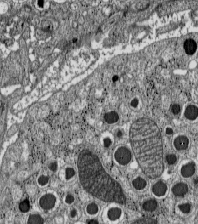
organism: C57BL Mouse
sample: Pancreatic islet